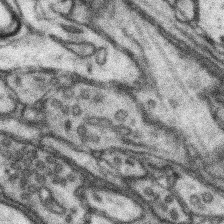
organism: Mouse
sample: Somatosensory cortex neuropil